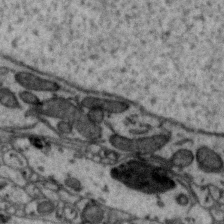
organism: Zebra finch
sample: Brain